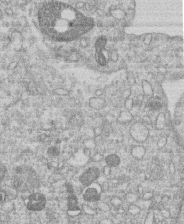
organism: Human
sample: Macrophage cells